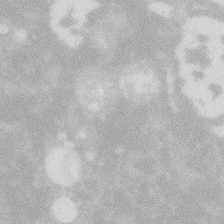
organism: Zebrafish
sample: Macrophage